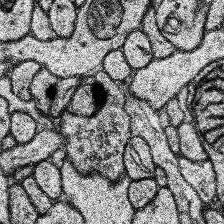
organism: Human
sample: Temporal Lobe